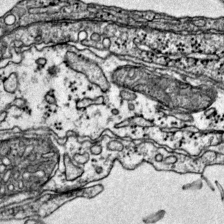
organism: Mouse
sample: Primary visual cortex